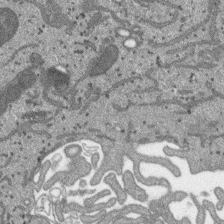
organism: Human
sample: Lung epithelial cells infected with SARS-CoV-2